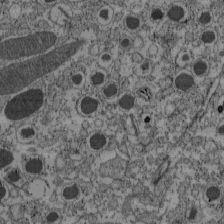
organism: C57BL Mouse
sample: Pancreatic islet